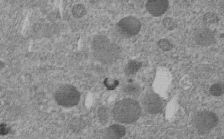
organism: C. elegans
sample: C. elegans embryo early stage